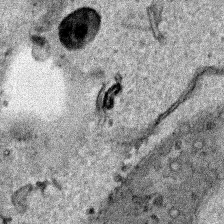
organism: Human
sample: Mitochondria in HCT116 cells